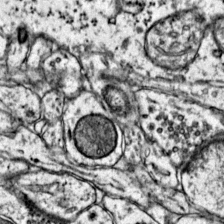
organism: Mouse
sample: Primary visual cortex